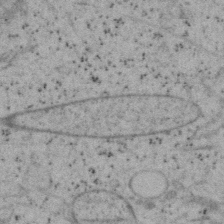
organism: Human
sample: HeLa cells